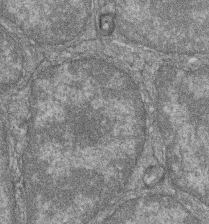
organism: Zebrafish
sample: Cilia; retinal pigment epithelium